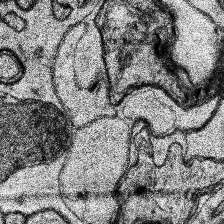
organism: Human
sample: Temporal Lobe